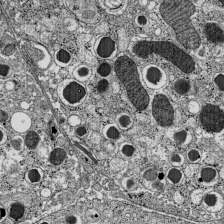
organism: C57BL Mouse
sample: Pancreatic islet